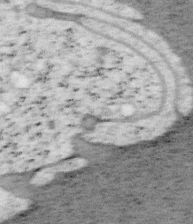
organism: Mouse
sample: OT-I killer T cells with ID8 ovarian cancer cells